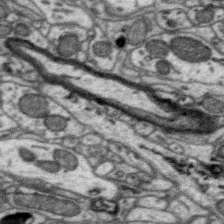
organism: Zebra finch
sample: Brain